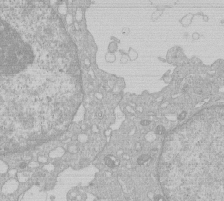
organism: Human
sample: Macrophage cells